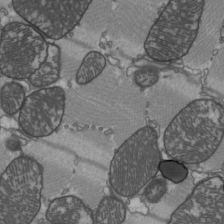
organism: C57BL Mouse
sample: Heart